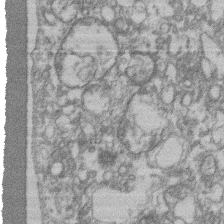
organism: Mouse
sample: T cell stromal cell synapse